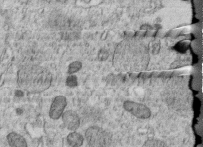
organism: C. elegans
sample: C. elegans embryo early stage